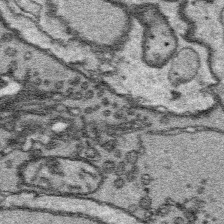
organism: Platynereis dumerilii